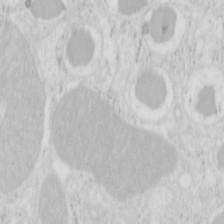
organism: Mouse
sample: Pancreas